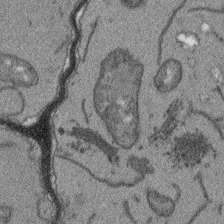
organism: Arabidopsis thaliana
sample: Root tip